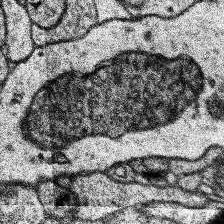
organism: Human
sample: Temporal Lobe